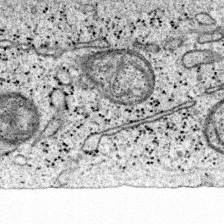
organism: Human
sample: HeLa cells